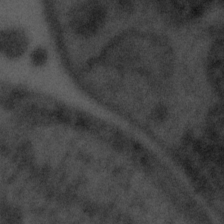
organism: Tuwongella immobilis